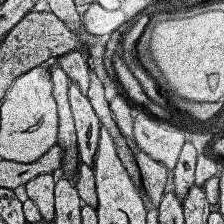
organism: Human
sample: Temporal Lobe